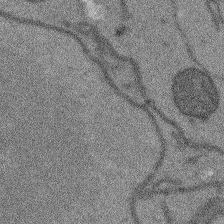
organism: Arabidopsis thaliana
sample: Root tip